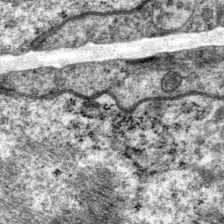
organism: P. pacificus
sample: Pharynx